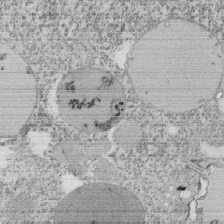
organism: Tetrahymena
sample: Cilia in tetrahymena